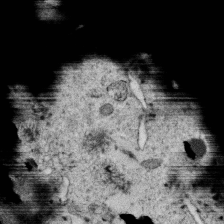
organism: C. elegans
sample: C. elegans oocyte; sperm cells